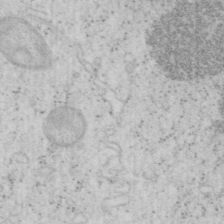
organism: Human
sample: HeLa cells